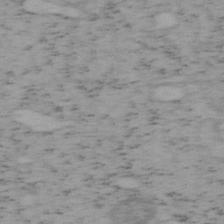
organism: Mouse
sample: OT-I killer T cells with ID8 ovarian cancer cells